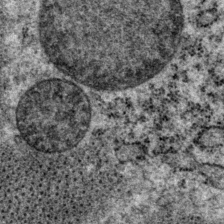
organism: P. pacificus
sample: Pharynx